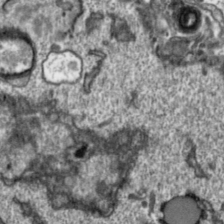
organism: Toxoplasma gondii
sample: Parasites in a vacuole inside a host cell